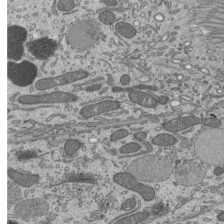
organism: Mouse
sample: Mouse epididymis efferent ductule cilia